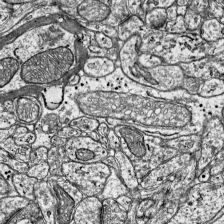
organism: Mouse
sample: Visual Cortex